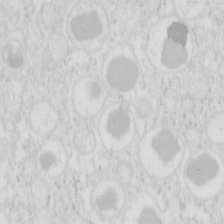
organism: Mouse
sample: Pancreas